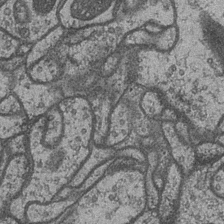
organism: Drosophila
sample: Optic medulla